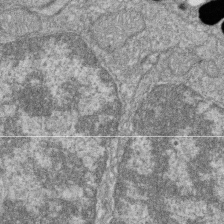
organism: Zebrafish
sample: Cilia; retinal pigment epithelium